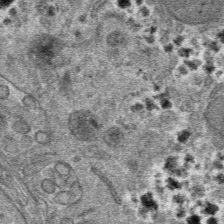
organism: Mouse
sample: Mouse hepatocytes